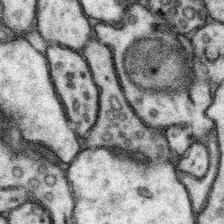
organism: Mouse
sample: Somatosensory cortex neuropil